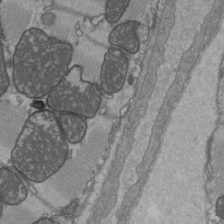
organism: C57BL Mouse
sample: Heart